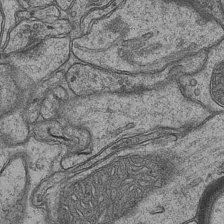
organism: Mouse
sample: CA1 Hippocampus